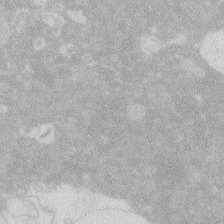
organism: Zebrafish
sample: Macrophage